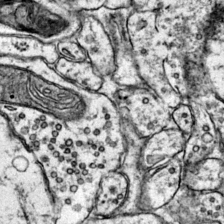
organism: Mouse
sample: Primary visual cortex